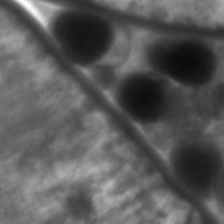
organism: C. elegans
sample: Pharynx